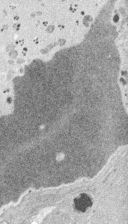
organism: Embia sp.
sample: Silk gland